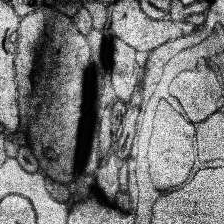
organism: Human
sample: Temporal Lobe